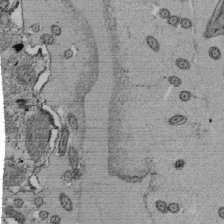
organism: Tetrahymena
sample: Cilia in tetrahymena